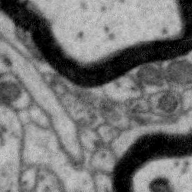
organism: Zebra finch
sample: Brain